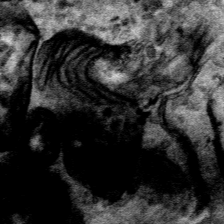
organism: Human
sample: Mitochondria in HCT116 cells